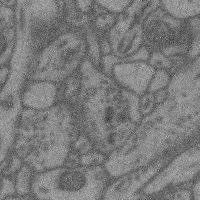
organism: Mouse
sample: Cerebral cortex